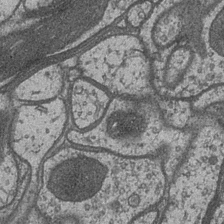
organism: Drosophila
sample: Optic medulla